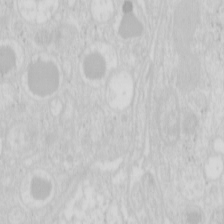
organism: Mouse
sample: Pancreas